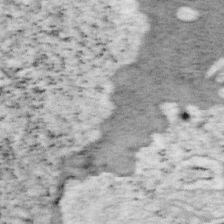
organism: Mouse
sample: OT-I killer T cells with ID8 ovarian cancer cells